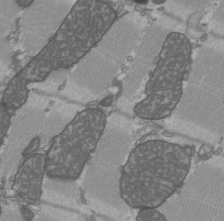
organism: C57BL Mouse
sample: Heart